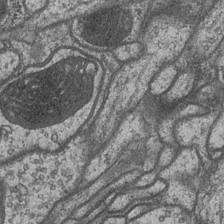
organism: Drosophila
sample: Optic medulla